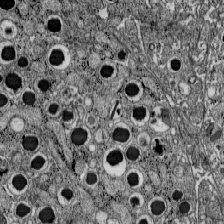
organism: C57BL Mouse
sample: Pancreatic islet